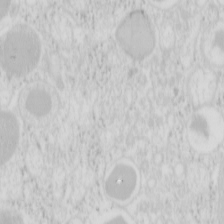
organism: Mouse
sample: Pancreas